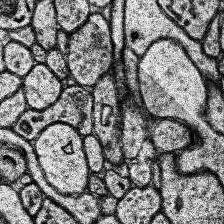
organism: Human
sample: Temporal Lobe